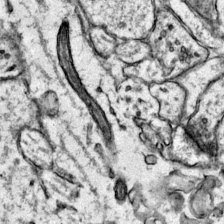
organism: Mouse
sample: Primary visual cortex